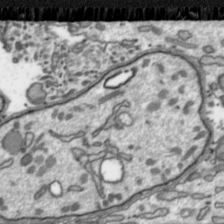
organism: Toxoplasma gondii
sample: Parasites in a vacuole inside a host cell